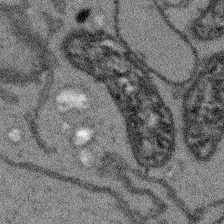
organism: Arabidopsis thaliana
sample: Root tip